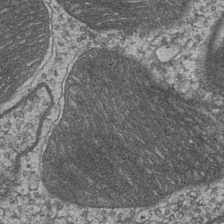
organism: Drosophila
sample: Optic medulla